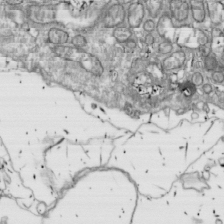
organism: Drosophila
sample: Cell division; meiosis; drosophila spermatocytes